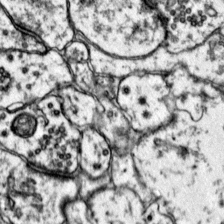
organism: Mouse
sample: Primary visual cortex